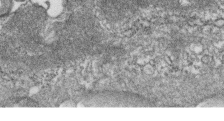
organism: Zebrafish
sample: Cilia; retinal pigment epithelium